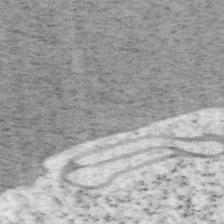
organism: Mouse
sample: OT-I killer T cells with ID8 ovarian cancer cells